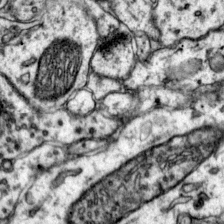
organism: Mouse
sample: Primary visual cortex